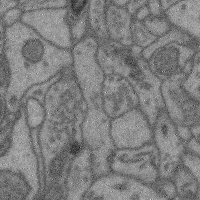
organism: Mouse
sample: Cerebral cortex